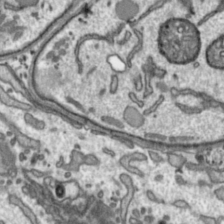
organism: Toxoplasma gondii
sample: Parasites in a vacuole inside a host cell